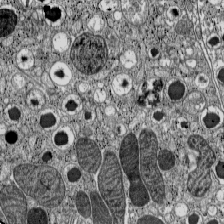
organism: C57BL Mouse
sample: Pancreatic islet